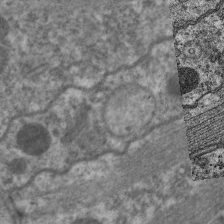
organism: C. elegans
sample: Pharynx